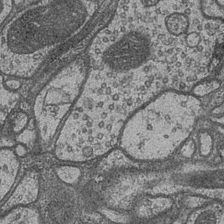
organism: Drosophila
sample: Optic medulla